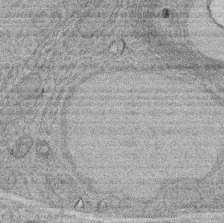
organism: Rat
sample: Salivary granule